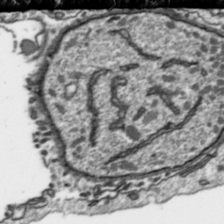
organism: Toxoplasma gondii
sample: Parasites in a vacuole inside a host cell